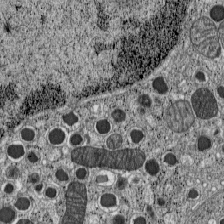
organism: C57BL Mouse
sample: Pancreatic islet